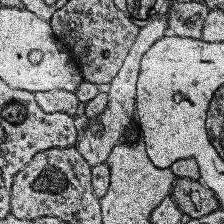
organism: Human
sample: Temporal Lobe